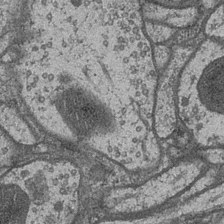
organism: Drosophila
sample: Optic medulla